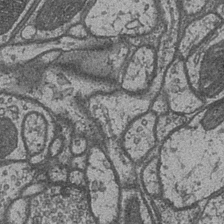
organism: Drosophila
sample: Optic medulla